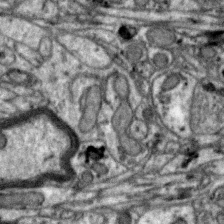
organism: Zebra finch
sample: Brain